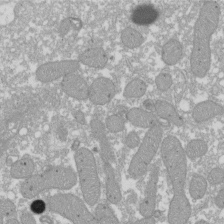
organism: Xenopus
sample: Cilia; centrioles in frog embryo cells